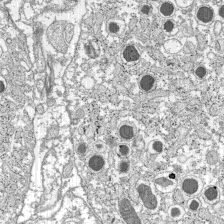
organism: C57BL Mouse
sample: Pancreatic islet